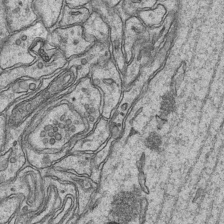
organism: Mouse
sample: CA1 Hippocampus